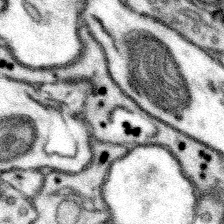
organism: Mouse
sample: Somatosensory cortex neuropil